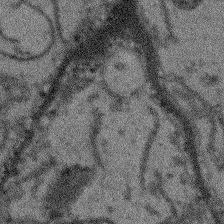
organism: Arabidopsis thaliana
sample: Root tip